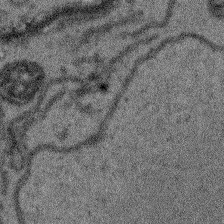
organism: Arabidopsis thaliana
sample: Root tip